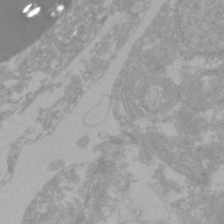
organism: Zebrafish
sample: Zebrafish embryo